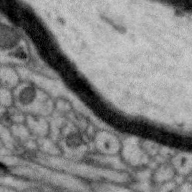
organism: Zebra finch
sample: Brain